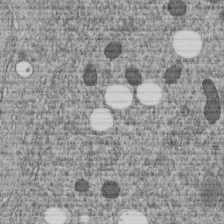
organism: C. elegans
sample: C. elegans embryo early stage